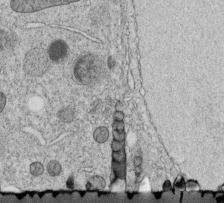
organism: C. elegans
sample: C. elegans embryo early stage